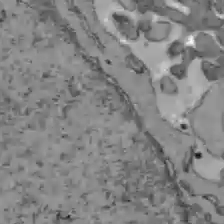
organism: C57BL Mouse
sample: Liver